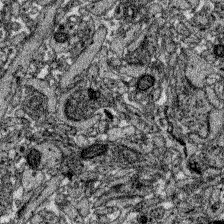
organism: Zebrafish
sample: Larval olfactory bulb